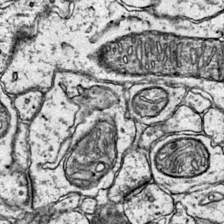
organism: Mouse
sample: Primary visual cortex